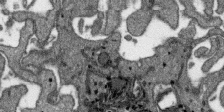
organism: Human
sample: Lung epithelial cells, uninfected (mock) control